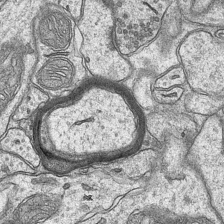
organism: Mouse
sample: CA1 Hippocampus